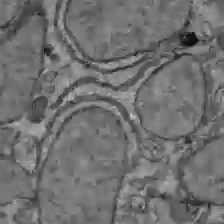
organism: C57BL Mouse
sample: Liver